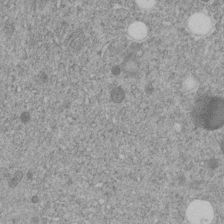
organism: C. elegans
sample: C. elegans embryo early stage